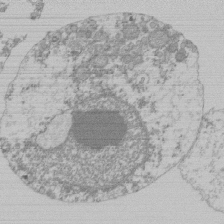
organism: Mouse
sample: Activated Pmel transgenic CD8+ T Cells